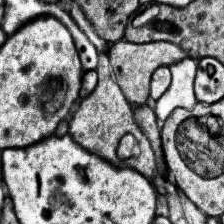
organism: Human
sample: Temporal Lobe